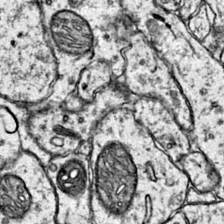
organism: Mouse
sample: Primary visual cortex